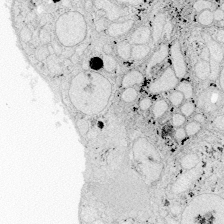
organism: Zebrafish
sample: Whole-Brain